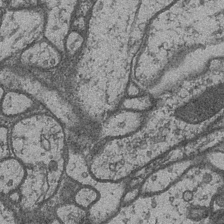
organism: Drosophila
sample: Optic medulla